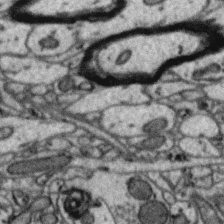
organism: Zebra finch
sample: Brain